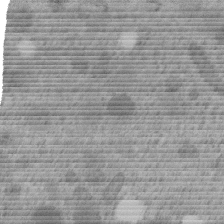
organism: C. elegans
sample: C. elegans embryo early stage